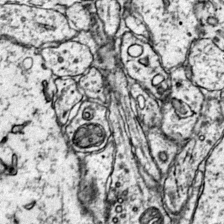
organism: Mouse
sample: Primary visual cortex